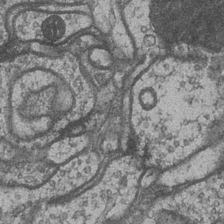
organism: Drosophila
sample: Optic medulla